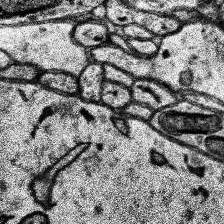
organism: Human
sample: Temporal Lobe